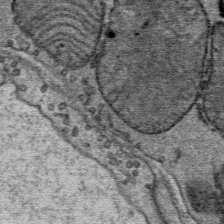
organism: Mouse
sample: Mouse Salivary gland